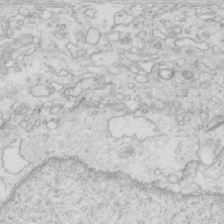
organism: Mouse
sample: Multiciliated cells